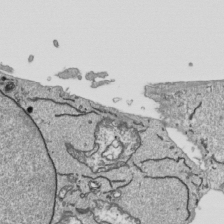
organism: Human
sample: Mitochondria in HCT116 cells